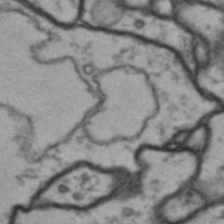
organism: Drosophila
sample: Brain